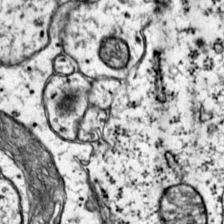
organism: Mouse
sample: Primary visual cortex